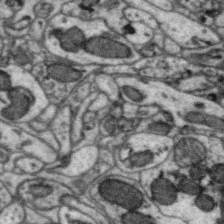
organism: Zebra finch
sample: Brain